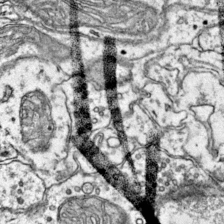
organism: Mouse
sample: Primary visual cortex